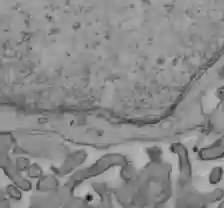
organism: C57BL Mouse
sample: Liver